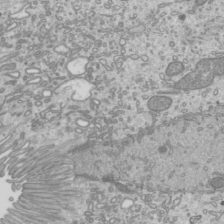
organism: Mouse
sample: Cilia; mouse epididymis